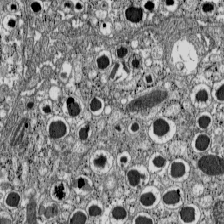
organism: C57BL Mouse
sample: Pancreatic islet